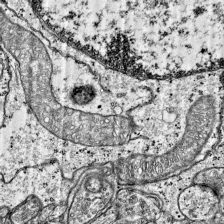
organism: Mouse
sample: Visual Cortex